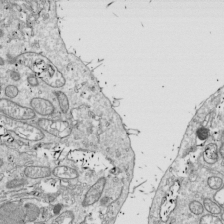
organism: Drosophila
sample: Cell division; meiosis; drosophila spermatocytes